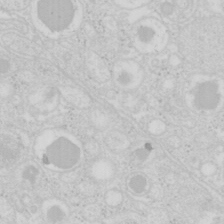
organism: Mouse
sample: Pancreas